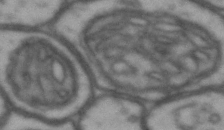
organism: Drosophila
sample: Brain